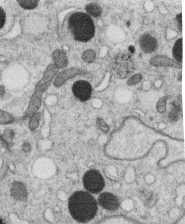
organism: C. elegans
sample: C. elegans oocyte; sperm cells